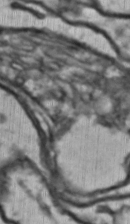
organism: Drosophila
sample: Brain